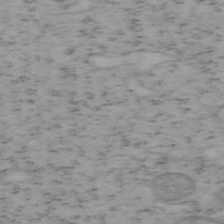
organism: Mouse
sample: OT-I killer T cells with ID8 ovarian cancer cells